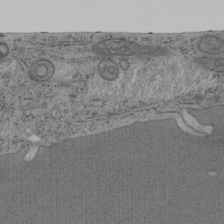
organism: Human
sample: HeLa cells